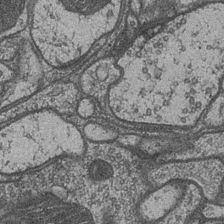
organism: Drosophila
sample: Optic medulla